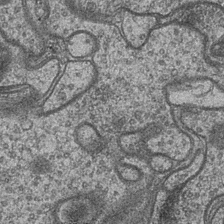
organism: Drosophila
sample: Optic medulla